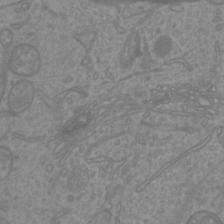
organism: Mouse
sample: Cortical neurons